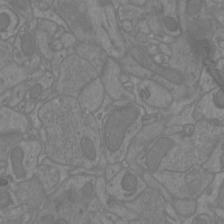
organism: Mouse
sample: Cortical neurons